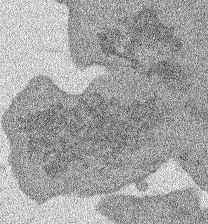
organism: Human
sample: HeLa cells